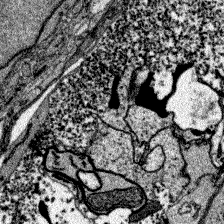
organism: Zebrafish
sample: Larval olfactory bulb